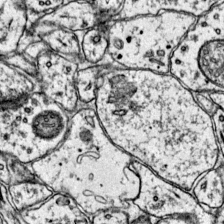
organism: Mouse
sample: Primary visual cortex